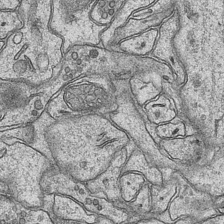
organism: Mouse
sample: CA1 Hippocampus